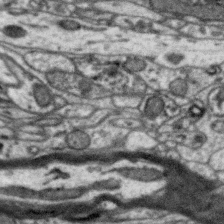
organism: Zebra finch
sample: Brain